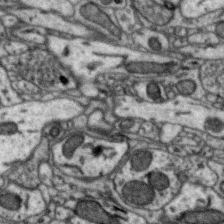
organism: Zebra finch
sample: Brain